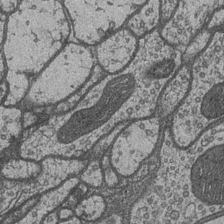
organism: Drosophila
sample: Optic medulla